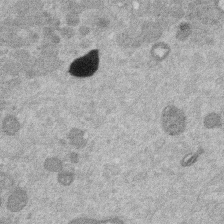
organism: Mouse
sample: Dividing mouse embryo 1 cell stage